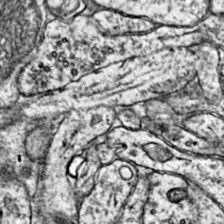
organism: Mouse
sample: Primary visual cortex